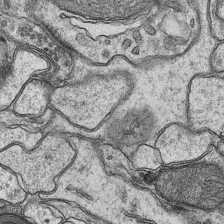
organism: Mouse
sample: CA1 Hippocampus